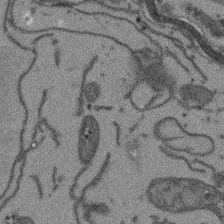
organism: Arabidopsis thaliana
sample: Root tip